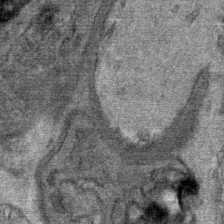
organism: Mouse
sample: Mouse Salivary gland